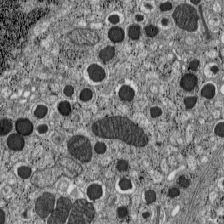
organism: C57BL Mouse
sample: Pancreatic islet